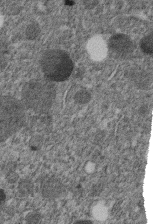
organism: C. elegans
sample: C. elegans embryo early stage